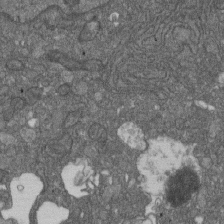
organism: Drosophila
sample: Nephrocyte